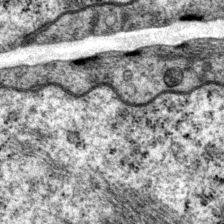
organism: P. pacificus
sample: Pharynx